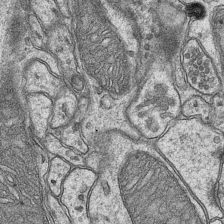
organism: Mouse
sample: CA1 Hippocampus